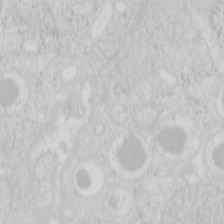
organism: Mouse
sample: Pancreas